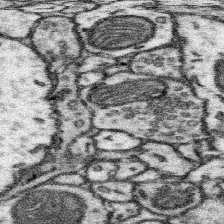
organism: Mouse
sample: Somatosensory cortex neuropil